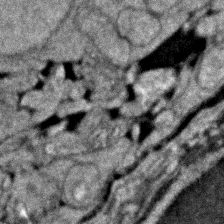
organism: Zebrafish